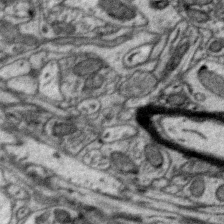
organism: Zebra finch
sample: Brain